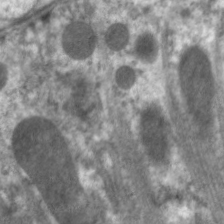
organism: C. elegans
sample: Pharynx